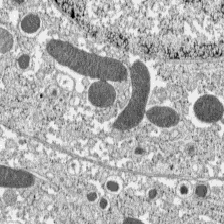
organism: C57BL Mouse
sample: Pancreatic islet